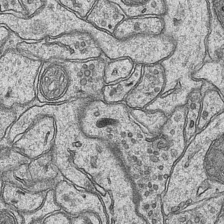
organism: Mouse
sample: CA1 Hippocampus